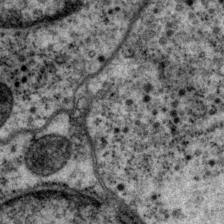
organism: P. pacificus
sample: Pharynx